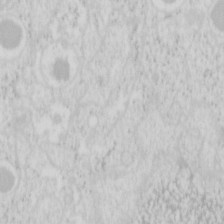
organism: Mouse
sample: Pancreas